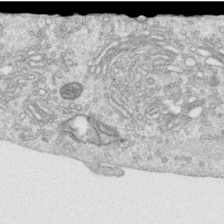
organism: Human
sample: Centriole in RPE cells